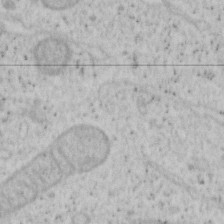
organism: Human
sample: HeLa cells